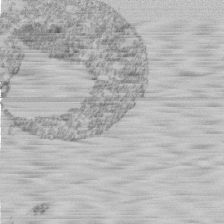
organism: Mouse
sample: Activated Pmel transgenic CD8+ T Cells